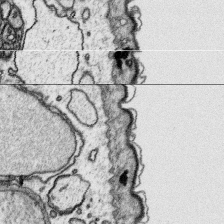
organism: Platynereis dumerilii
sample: Parapodia